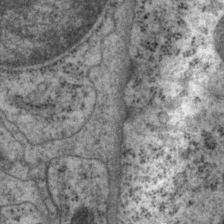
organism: P. pacificus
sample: Pharynx